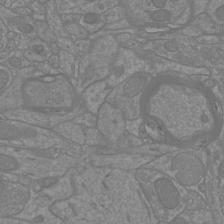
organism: Mouse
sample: Cortical neurons